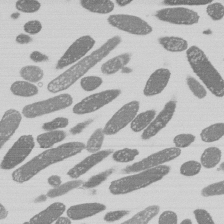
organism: E. coli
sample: Bacterial nucleoid